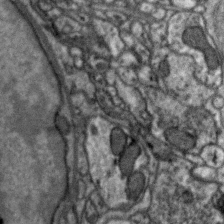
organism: Zebra finch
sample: Brain